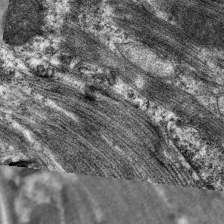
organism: C. elegans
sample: Pharynx